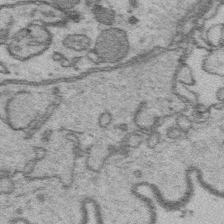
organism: Platynereis dumerilii